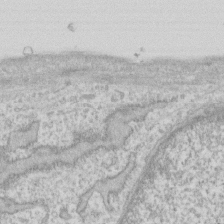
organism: Human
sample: Fibroblast cells